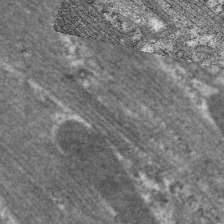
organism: C. elegans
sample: Pharynx